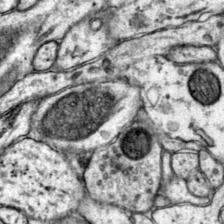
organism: Mouse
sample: Primary visual cortex